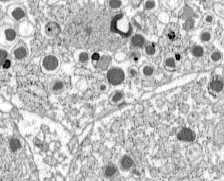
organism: C57BL Mouse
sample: Pancreatic islet